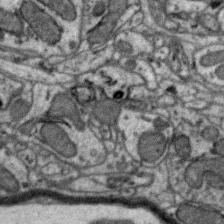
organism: Zebra finch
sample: Brain